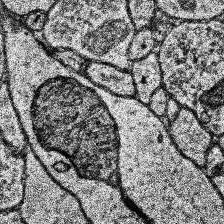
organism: Human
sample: Temporal Lobe